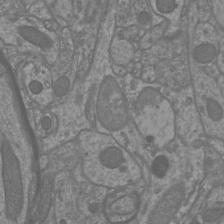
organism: Mouse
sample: Cortical neurons